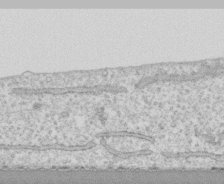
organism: Human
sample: CRL-1474